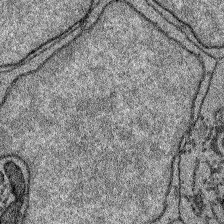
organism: Zebrafish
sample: Larval olfactory bulb